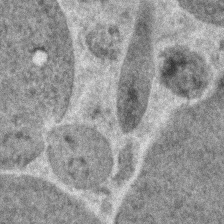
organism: Zebrafish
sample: Zebrafish embryo